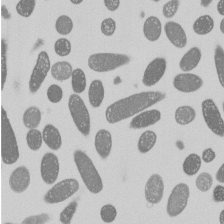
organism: E. coli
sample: Bacterial nucleoid